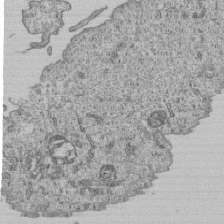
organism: Human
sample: MDA-MB-231 cells